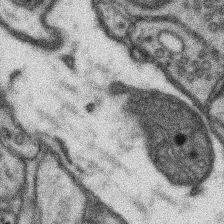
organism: Mouse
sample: Somatosensory cortex neuropil